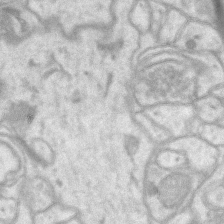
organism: Mouse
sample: CA1 Hippocampus